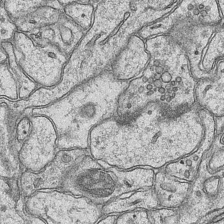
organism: Mouse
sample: CA1 Hippocampus